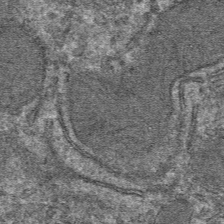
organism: Mouse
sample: Mouse hepatocytes